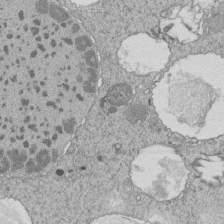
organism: Tetrahymena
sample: Cilia in tetrahymena